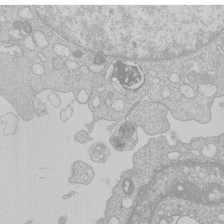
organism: Human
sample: Macrophage cells